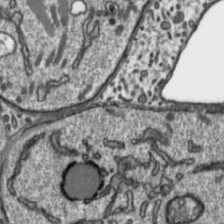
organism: Toxoplasma gondii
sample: Parasites in a vacuole inside a host cell